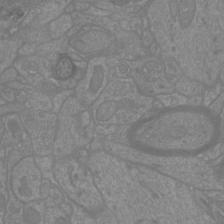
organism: Mouse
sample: Cortical neurons